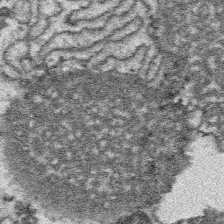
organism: Platynereis dumerilii